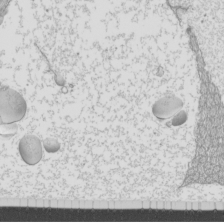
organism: Mouse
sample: Cilia; mouse epididymis